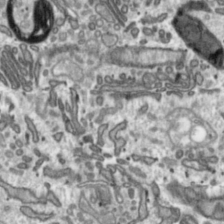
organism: Toxoplasma gondii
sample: Parasites in a vacuole inside a host cell